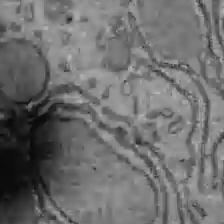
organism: C57BL Mouse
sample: Liver